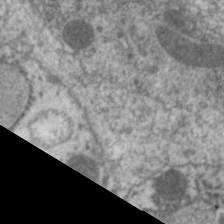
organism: C. elegans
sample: Pharynx